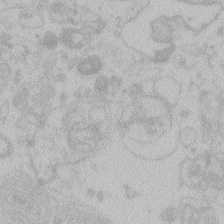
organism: Zebrafish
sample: Macrophage infected with Toxoplasma gondii